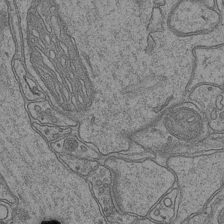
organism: Mouse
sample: CA1 Hippocampus